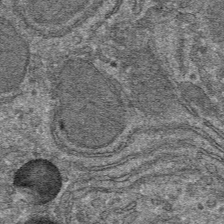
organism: Mouse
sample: Mouse hepatocytes